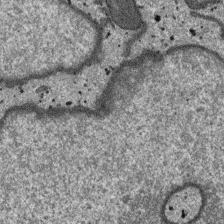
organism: Human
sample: Lung epithelial cells, uninfected (mock) control